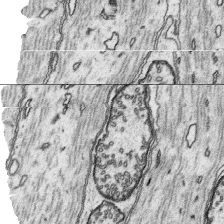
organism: Platynereis dumerilii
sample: Parapodia